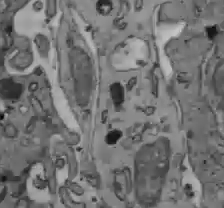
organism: C57BL Mouse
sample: Liver